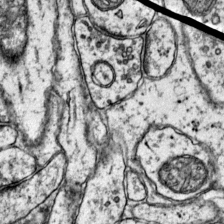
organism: Mouse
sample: Primary visual cortex